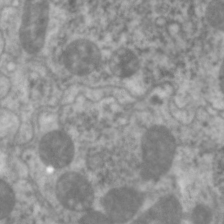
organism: C. elegans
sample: Pharynx